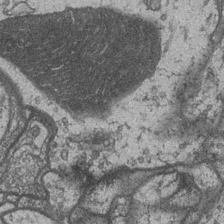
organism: Drosophila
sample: Optic medulla